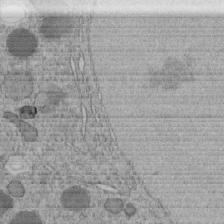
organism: C. elegans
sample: C. elegans embryo early stage